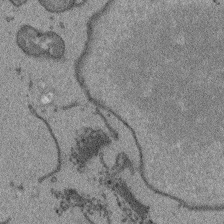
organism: Arabidopsis thaliana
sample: Root tip